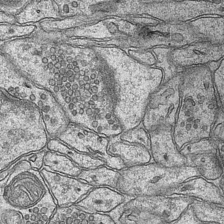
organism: Mouse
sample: CA1 Hippocampus